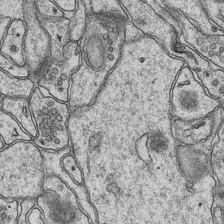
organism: Mouse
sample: CA1 Hippocampus